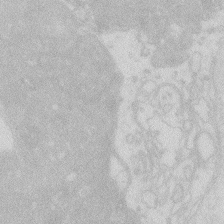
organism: Zebrafish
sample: Macrophage